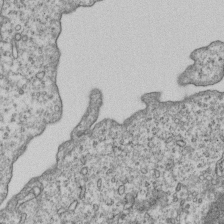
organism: Human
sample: MDA-MB-231 cells